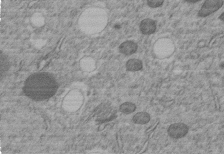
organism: C. elegans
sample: C. elegans embryo early stage